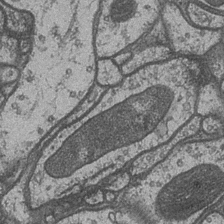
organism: Drosophila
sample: Optic medulla